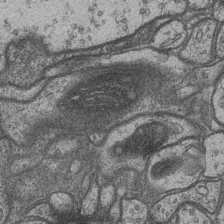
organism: Drosophila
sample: Optic medulla